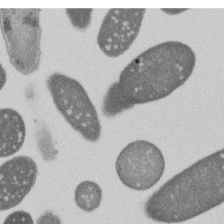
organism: E. coli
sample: Bacterial nucleoid